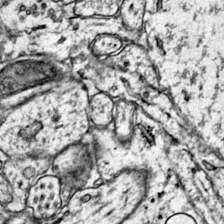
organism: Mouse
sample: Primary visual cortex